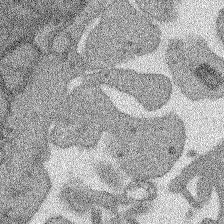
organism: Human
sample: HeLa cells